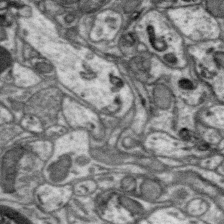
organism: Zebra finch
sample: Brain